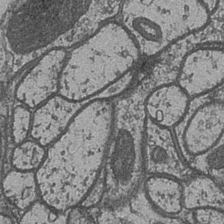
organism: Drosophila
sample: Optic medulla